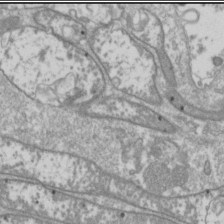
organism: Drosophila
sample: Cell division; meiosis; drosophila spermatocytes